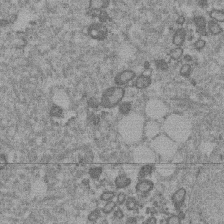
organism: Mouse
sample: Dividing mouse embryo 1 cell stage